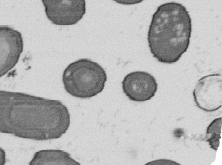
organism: B. subtilis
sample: Bacterial spore